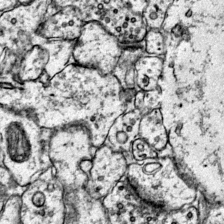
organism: Mouse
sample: Primary visual cortex